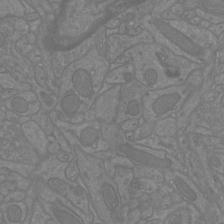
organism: Mouse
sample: Cortical neurons